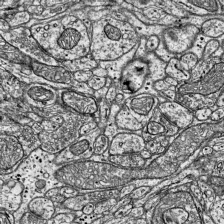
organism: Mouse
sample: Visual Cortex